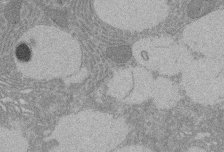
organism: Rat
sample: Salivary granule